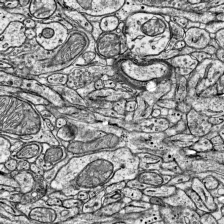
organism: Mouse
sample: Visual Cortex